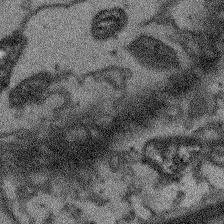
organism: Arabidopsis thaliana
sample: Root tip